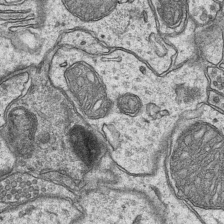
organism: Mouse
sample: CA1 Hippocampus